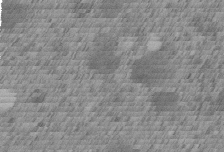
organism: C. elegans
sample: C. elegans embryo early stage